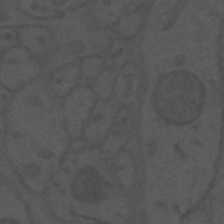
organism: Mouse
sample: Suprachiasmatic nucleus